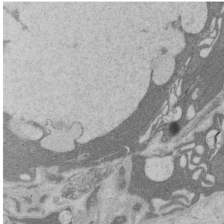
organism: Rat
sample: Salivary granule